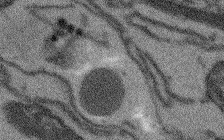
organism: Arabidopsis thaliana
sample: Root tip